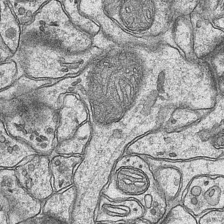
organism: Mouse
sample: CA1 Hippocampus